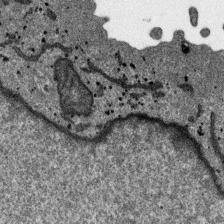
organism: Human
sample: Lung epithelial cells, uninfected (mock) control